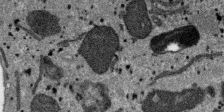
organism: Human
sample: Lung epithelial cells, uninfected (mock) control